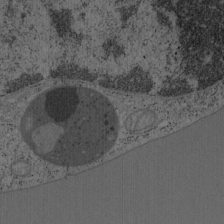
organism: Mouse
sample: OT-I killer T cells with ID8 ovarian cancer cells